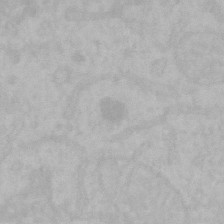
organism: Mouse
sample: Choroid plexus